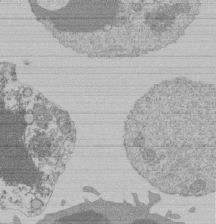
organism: Mouse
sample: Activated Pmel transgenic CD8+ T Cells